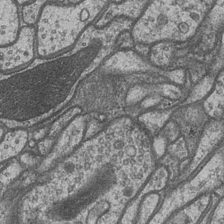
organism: Drosophila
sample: Optic medulla